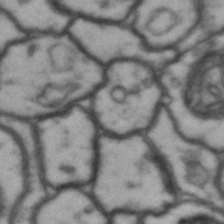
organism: Drosophila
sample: Brain